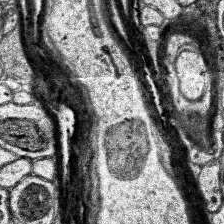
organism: Human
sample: Temporal Lobe